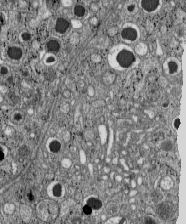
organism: C57BL Mouse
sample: Pancreatic islet